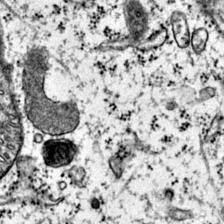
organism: Mouse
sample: Primary visual cortex